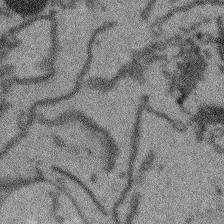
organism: Arabidopsis thaliana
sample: Root tip